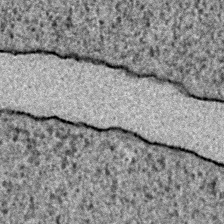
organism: E. coli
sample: E. Coli Bacteria